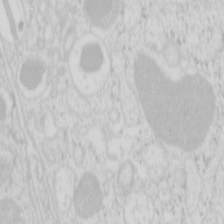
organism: Mouse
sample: Pancreas